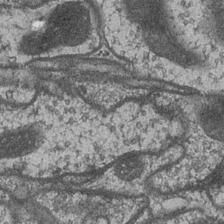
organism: Drosophila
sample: Optic medulla